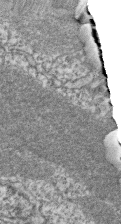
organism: Zebrafish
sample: Cilia; retinal pigment epithelium